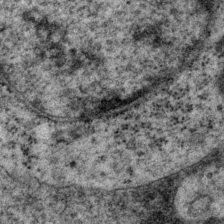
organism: P. pacificus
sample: Pharynx